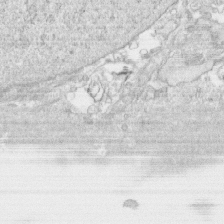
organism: Human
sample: CRL-1474